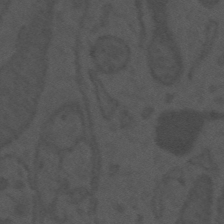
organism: Mouse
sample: Suprachiasmatic nucleus